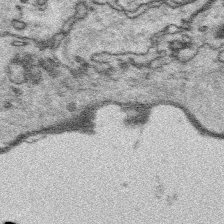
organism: Platynereis dumerilii